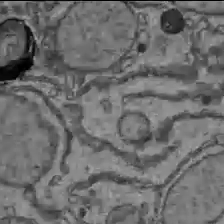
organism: C57BL Mouse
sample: Liver